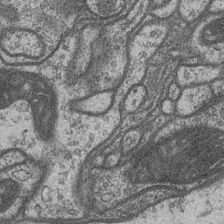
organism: Drosophila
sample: Optic medulla